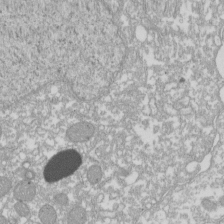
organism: Xenopus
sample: Cilia; centrioles in frog embryo cells